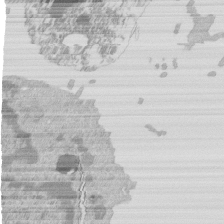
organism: Mouse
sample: Activated Pmel transgenic CD8+ T Cells